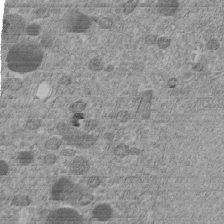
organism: C. elegans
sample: C. elegans embryo early stage